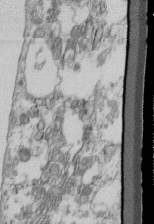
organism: Mouse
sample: Cilia; retinal pigment epithelium